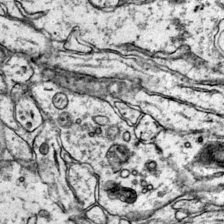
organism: Mouse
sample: Primary visual cortex